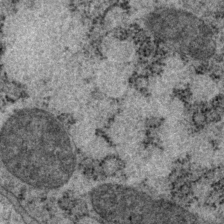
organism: P. pacificus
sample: Pharynx